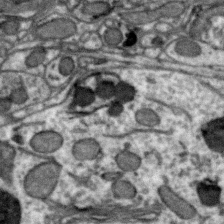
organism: Zebra finch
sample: Brain